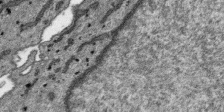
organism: Human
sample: Lung epithelial cells, uninfected (mock) control